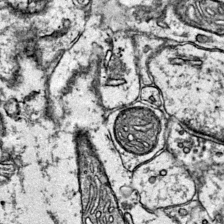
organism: Mouse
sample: Primary visual cortex